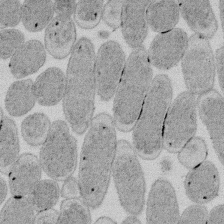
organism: E. coli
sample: Bacterial nucleoid